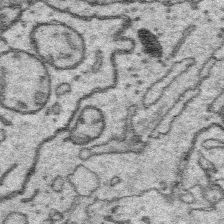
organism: Platynereis dumerilii